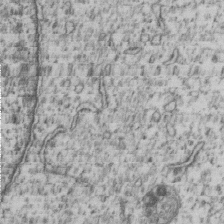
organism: Human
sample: MDA-MB-231 cells